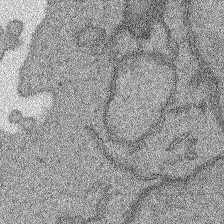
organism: Human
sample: HeLa cells